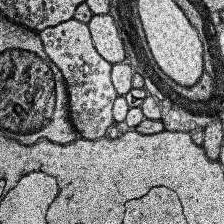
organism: Human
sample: Temporal Lobe